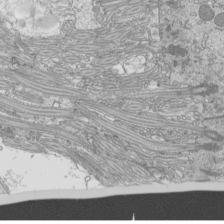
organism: Mouse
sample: Cilia; mouse epididymis